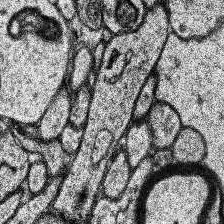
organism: Human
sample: Temporal Lobe